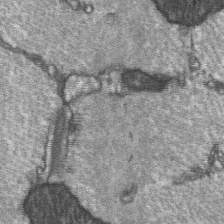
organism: C57BL Mouse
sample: Soleus